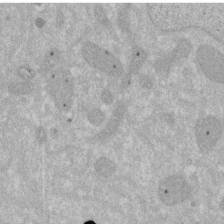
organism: Human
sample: HIV infected U937 cells